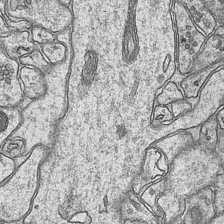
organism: Mouse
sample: CA1 Hippocampus